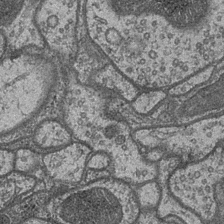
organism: Drosophila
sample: Optic medulla